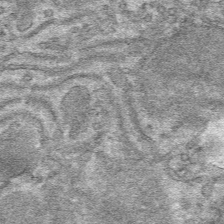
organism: Mouse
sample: Mouse hepatocytes